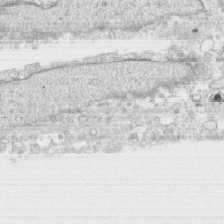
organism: Human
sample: CRL-1474